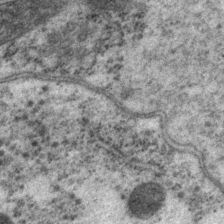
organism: P. pacificus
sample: Pharynx